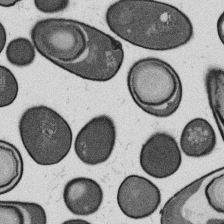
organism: B. subtilis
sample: Bacterial spore